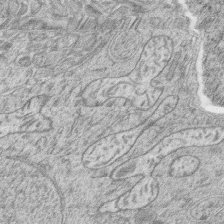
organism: Zebrafish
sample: synaptic ribbons in rod cells and cone cells